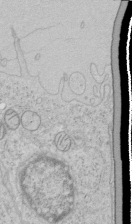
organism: Human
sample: Mitochondria in HCT116 cells